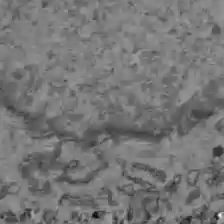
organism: C57BL Mouse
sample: Liver